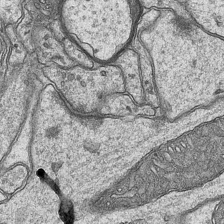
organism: Mouse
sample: CA1 Hippocampus